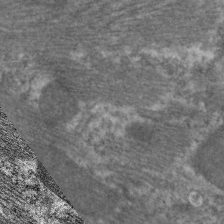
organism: C. elegans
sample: Pharynx